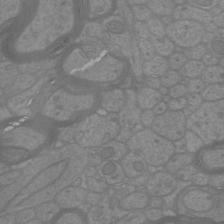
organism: Mouse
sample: Cortical neurons